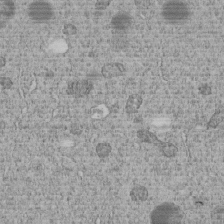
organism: C. elegans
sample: C. elegans embryo early stage